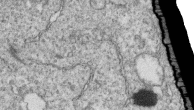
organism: Human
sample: HeLa cell HIV synapse